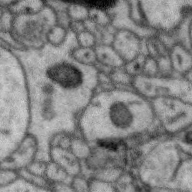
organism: Zebra finch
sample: Brain